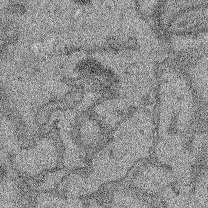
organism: Human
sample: HeLa cells